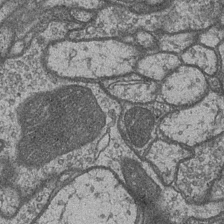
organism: Drosophila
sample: Optic medulla